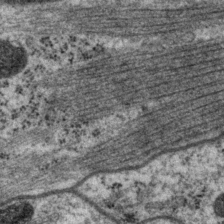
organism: P. pacificus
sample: Pharynx